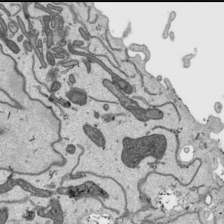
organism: Human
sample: Mitochondria in HCT116 cells